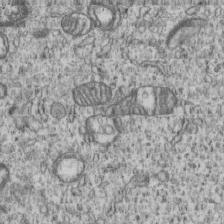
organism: Human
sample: MDA-MB-231 cells